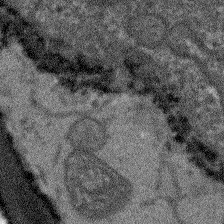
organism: Arabidopsis thaliana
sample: Root tip